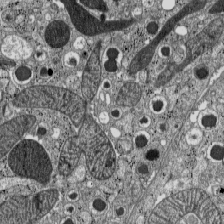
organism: C57BL Mouse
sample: Pancreatic islet